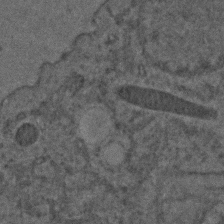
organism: C. elegans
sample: C. elegans embryo